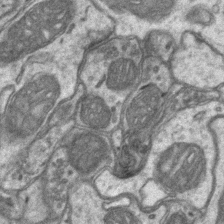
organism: Mouse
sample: CA1 Hippocampus